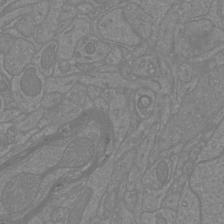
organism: Mouse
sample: Cortical neurons